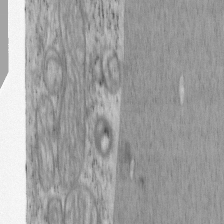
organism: Human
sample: HeLa cells